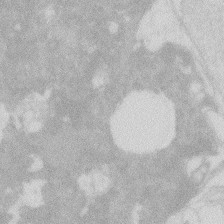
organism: Zebrafish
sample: Macrophage